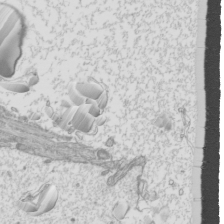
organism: Mouse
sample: Cilia; mouse epididymis